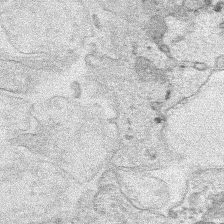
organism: Human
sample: Mitochondria in HCT116 cells